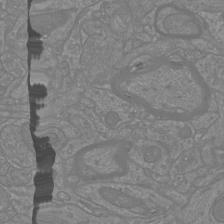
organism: Mouse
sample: Cortical neurons